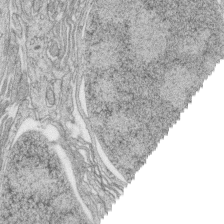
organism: Zebrafish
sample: synaptic ribbons in rod cells and cone cells